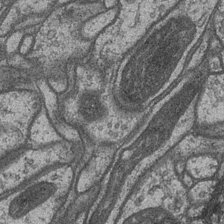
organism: Drosophila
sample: Optic medulla